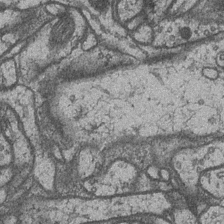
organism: Drosophila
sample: Optic medulla